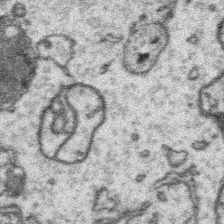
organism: Platynereis dumerilii